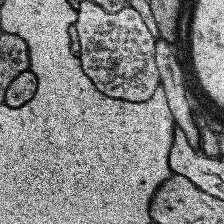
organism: Human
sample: Temporal Lobe